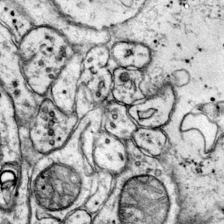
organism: Mouse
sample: Primary visual cortex